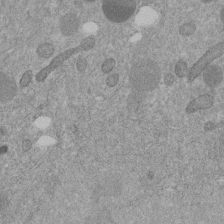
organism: C. elegans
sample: C. elegans embryo early stage